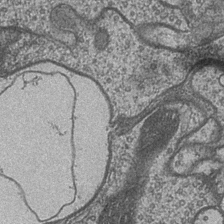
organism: Drosophila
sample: Optic medulla